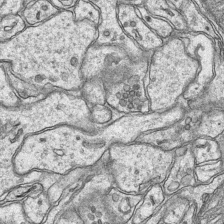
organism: Mouse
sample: CA1 Hippocampus